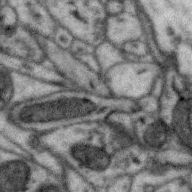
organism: Zebra finch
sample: Brain